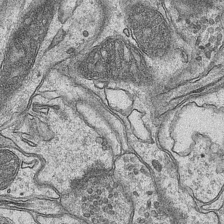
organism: Mouse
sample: CA1 Hippocampus